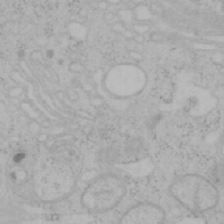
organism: Mouse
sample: OT-I killer T cells with ID8 ovarian cancer cells